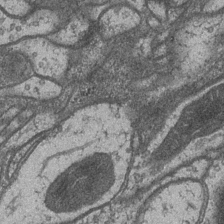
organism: Drosophila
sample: Optic medulla